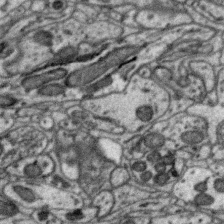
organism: Zebra finch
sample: Brain